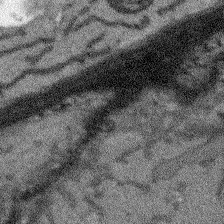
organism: Arabidopsis thaliana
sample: Root tip